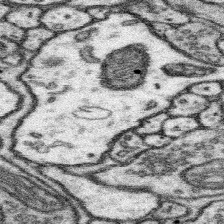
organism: Mouse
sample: Somatosensory cortex neuropil